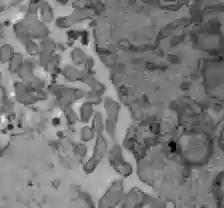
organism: C57BL Mouse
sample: Liver